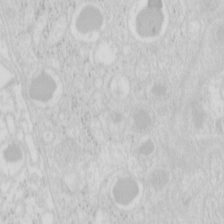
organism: Mouse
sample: Pancreas